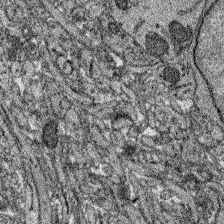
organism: Zebrafish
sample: Larval olfactory bulb